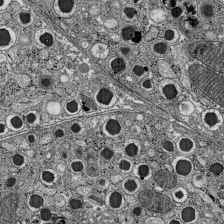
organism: C57BL Mouse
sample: Pancreatic islet